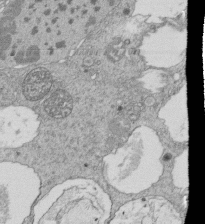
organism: Tetrahymena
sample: Cilia in tetrahymena